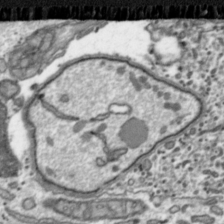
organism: Toxoplasma gondii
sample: Parasites in a vacuole inside a host cell